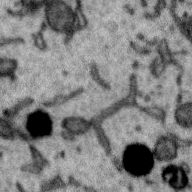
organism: Zebra finch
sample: Brain